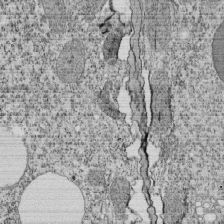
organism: Tetrahymena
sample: Cilia in tetrahymena